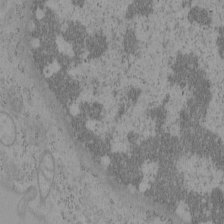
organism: Mouse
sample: OT-I killer T cells with ID8 ovarian cancer cells